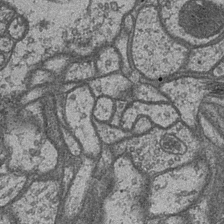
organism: Drosophila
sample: Optic medulla